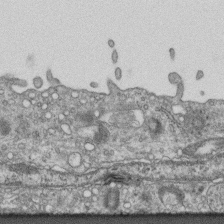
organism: Mouse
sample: Centriole in ependymal cells